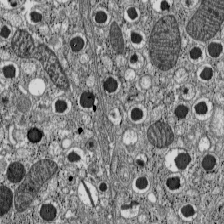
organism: C57BL Mouse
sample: Pancreatic islet